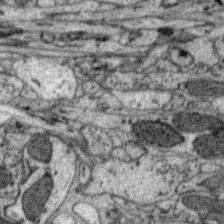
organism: Zebra finch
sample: Brain